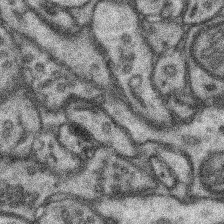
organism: Mouse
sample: Somatosensory cortex neuropil